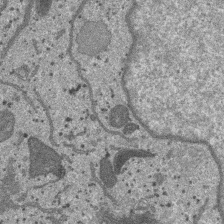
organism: Human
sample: Lung epithelial cells infected with SARS-CoV-2